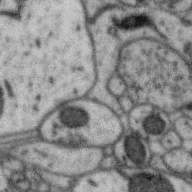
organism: Zebra finch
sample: Brain